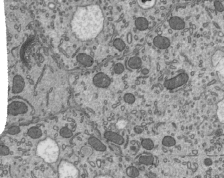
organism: Mouse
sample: Mouse epididymis efferent ductule cilia